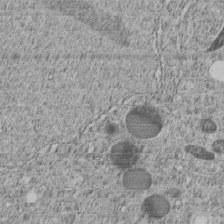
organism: C. elegans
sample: C. elegans embryo early stage